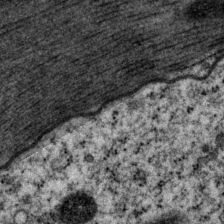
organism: P. pacificus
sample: Pharynx